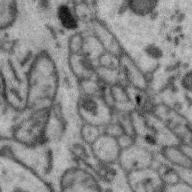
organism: Zebra finch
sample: Brain